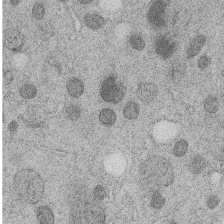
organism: C. elegans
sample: C. elegans embryo early stage